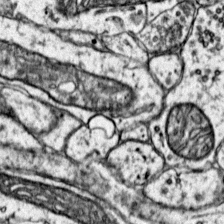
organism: Mouse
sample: Primary visual cortex